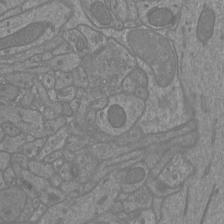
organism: Mouse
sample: Cortical neurons